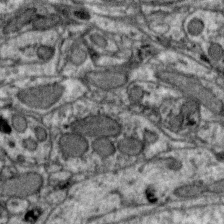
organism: Zebra finch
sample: Brain